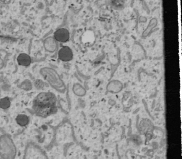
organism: Human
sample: Mitochondria in U2OS cells